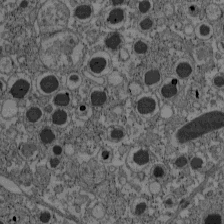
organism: C57BL Mouse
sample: Pancreatic islet